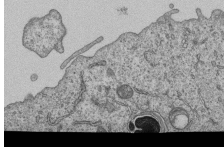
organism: Human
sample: MDA-MB-231 cells